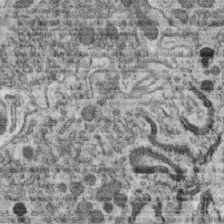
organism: C. elegans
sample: C. elegans oocyte; sperm cells